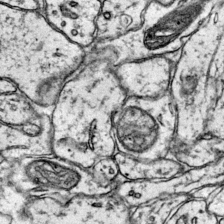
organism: Mouse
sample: Primary visual cortex